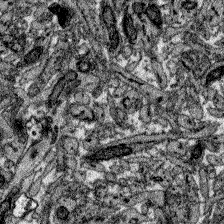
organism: Zebrafish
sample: Larval olfactory bulb